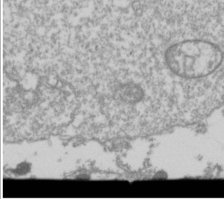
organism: Drosophila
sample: Cell division; meiosis; drosophila spermatocytes